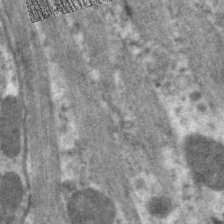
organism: C. elegans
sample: Pharynx